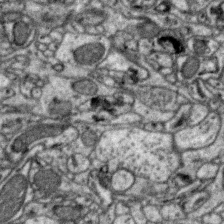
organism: Zebra finch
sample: Brain